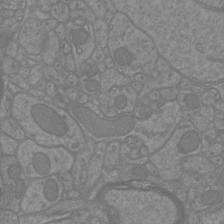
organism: Mouse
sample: Cortical neurons